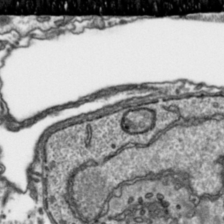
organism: Toxoplasma gondii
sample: Parasites in a vacuole inside a host cell